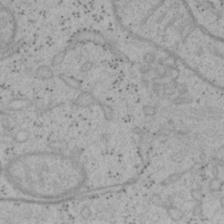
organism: Human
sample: HeLa cells